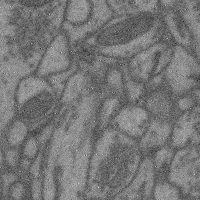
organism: Mouse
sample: Cerebral cortex